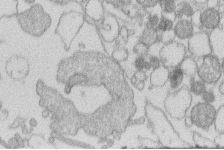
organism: Human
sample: Macrophage cells